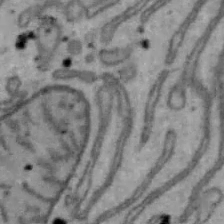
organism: Mouse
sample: Liver